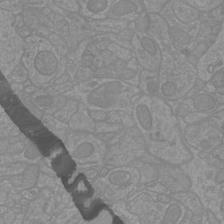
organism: Mouse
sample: Cortical neurons